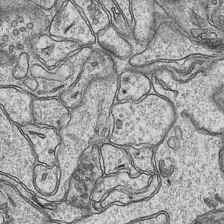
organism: Mouse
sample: CA1 Hippocampus